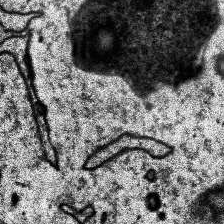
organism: Human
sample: Temporal Lobe